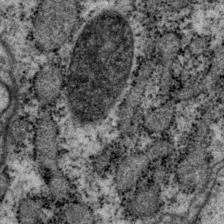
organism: P. pacificus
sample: Pharynx